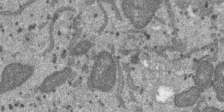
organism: Human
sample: Lung epithelial cells infected with SARS-CoV-2